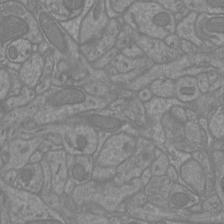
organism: Mouse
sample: Cortical neurons